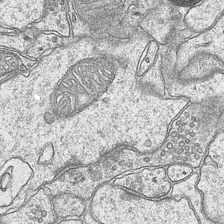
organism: Mouse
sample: CA1 Hippocampus